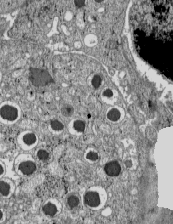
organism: C57BL Mouse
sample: Pancreatic islet